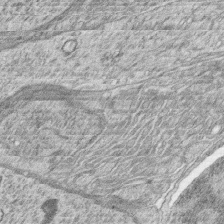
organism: Zebrafish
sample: synaptic ribbons in rod cells and cone cells